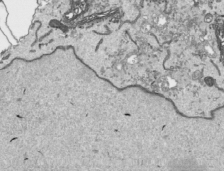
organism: Human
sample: Mitochondria in HCT116 cells